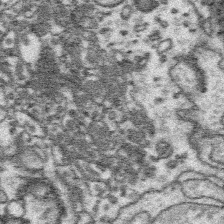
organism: Platynereis dumerilii